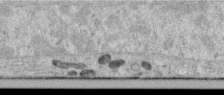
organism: Human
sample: Centriole in RPE cells